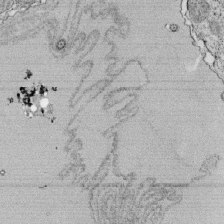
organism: Tetrahymena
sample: Cilia in tetrahymena